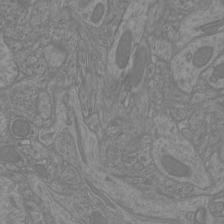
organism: Mouse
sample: Cortical neurons